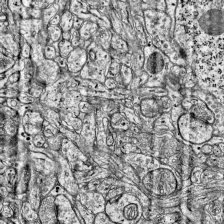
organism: Mouse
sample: Visual Cortex